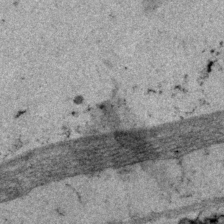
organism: P. pacificus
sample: Pharynx